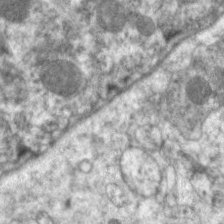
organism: C. elegans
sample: Pharynx